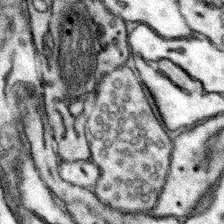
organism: Mouse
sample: Somatosensory cortex neuropil